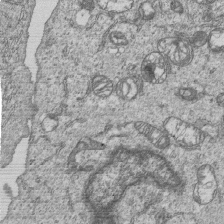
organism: Human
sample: MDA-MB-231 cells